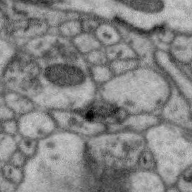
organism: Zebra finch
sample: Brain